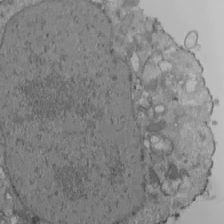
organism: Human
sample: Jurkat E6-1 and CD4 cells